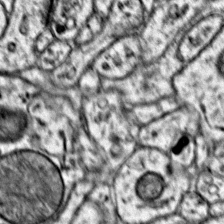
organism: Mouse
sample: Primary visual cortex